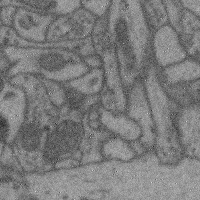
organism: Mouse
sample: Cerebral cortex